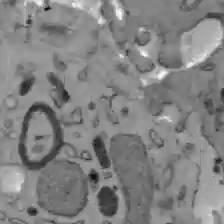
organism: C57BL Mouse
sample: Liver